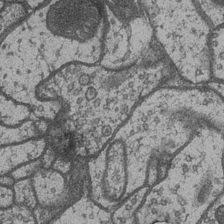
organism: Drosophila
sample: Optic medulla